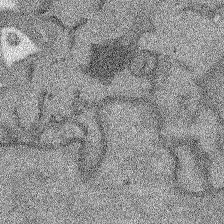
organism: Human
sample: HeLa cells